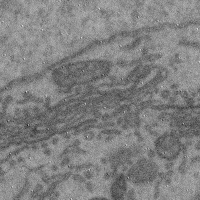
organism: Mouse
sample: Cerebral cortex